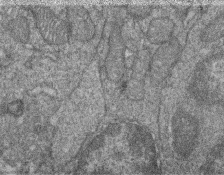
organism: Zebrafish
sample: Cilia; retinal pigment epithelium